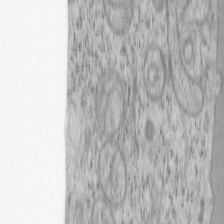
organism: Human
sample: HeLa cells